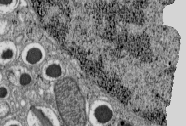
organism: C57BL Mouse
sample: Pancreatic islet